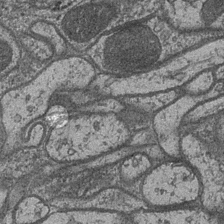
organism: Drosophila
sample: Optic medulla